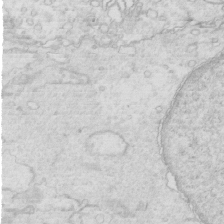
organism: Mouse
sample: Multiciliated cells